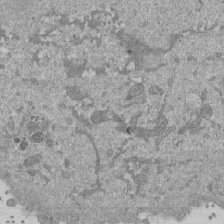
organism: Mouse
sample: ED-1 cell nuclei; centrioles